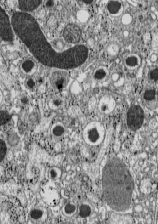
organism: C57BL Mouse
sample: Pancreatic islet